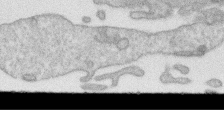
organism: Human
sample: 1205lu cells